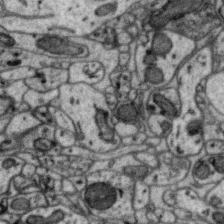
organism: Zebra finch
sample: Brain